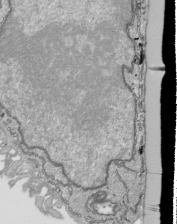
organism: Human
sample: Mitochondria in HCT116 cells